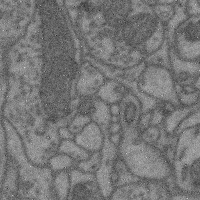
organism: Mouse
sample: Cerebral cortex